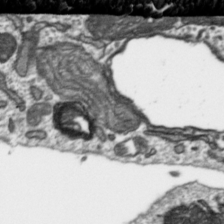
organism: Toxoplasma gondii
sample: Parasites in a vacuole inside a host cell